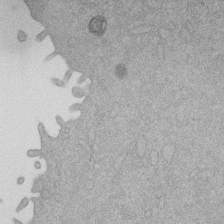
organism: Mouse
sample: Dividing mouse embryo 1 cell stage